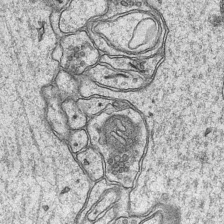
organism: Mouse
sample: CA1 Hippocampus